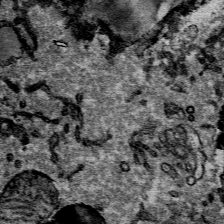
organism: Mouse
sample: Mouse Salivary gland